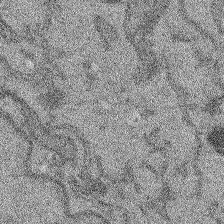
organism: Human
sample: HeLa cells